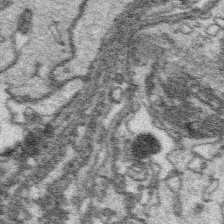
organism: Platynereis dumerilii